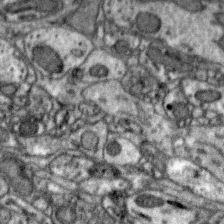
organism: Zebra finch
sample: Brain